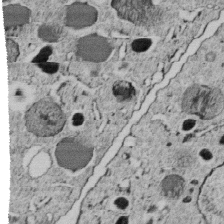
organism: C. elegans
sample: C. elegans embryo early stage